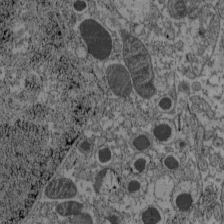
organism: C57BL Mouse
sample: Pancreatic islet